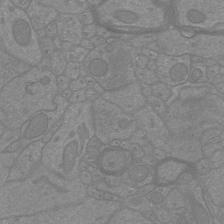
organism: Mouse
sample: Cortical neurons